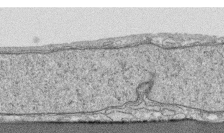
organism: Human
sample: CRL-1474